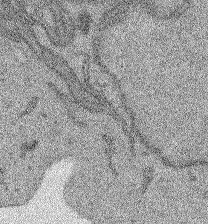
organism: Human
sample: HeLa cells